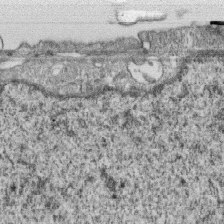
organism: African green monkey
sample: Vero E6 cells infected with SARS-CoV-2